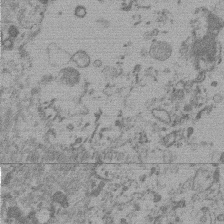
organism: Mouse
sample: Dividing mouse embryo 1 cell stage